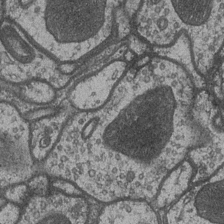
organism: Drosophila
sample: Optic medulla